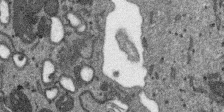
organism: Human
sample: Lung epithelial cells infected with SARS-CoV-2